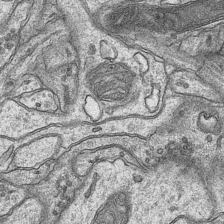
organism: Mouse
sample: CA1 Hippocampus